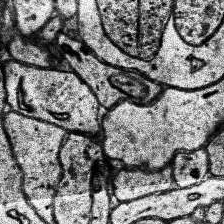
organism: Human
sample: Temporal Lobe